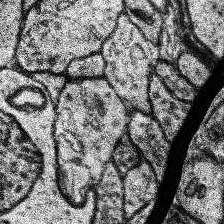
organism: Human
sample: Temporal Lobe